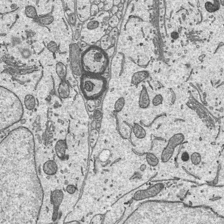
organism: Mouse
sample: Suprachiasmatic nucleus